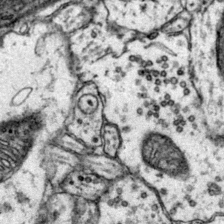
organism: Mouse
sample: Primary visual cortex